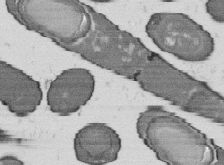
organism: B. subtilis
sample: Bacterial spore